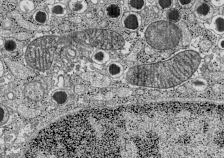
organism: C57BL Mouse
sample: Pancreatic islet